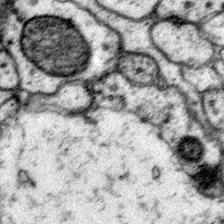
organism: Mouse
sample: Primary visual cortex